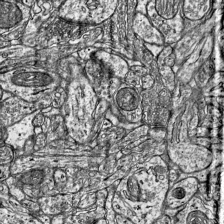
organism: Mouse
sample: Visual Cortex